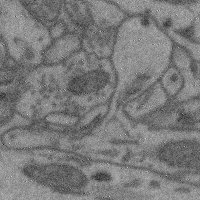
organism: Mouse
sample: Cerebral cortex